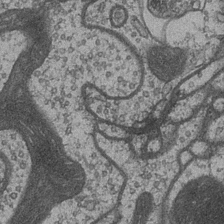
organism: Drosophila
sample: Optic medulla